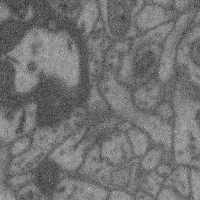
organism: Mouse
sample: Cerebral cortex